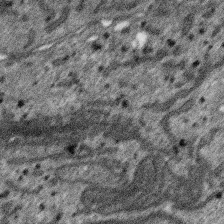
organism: Human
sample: Lung epithelial cells infected with SARS-CoV-2